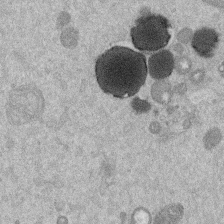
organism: Mouse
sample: Dividing mouse embryo 1 cell stage